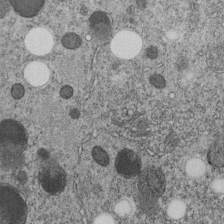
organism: C. elegans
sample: C. elegans embryo early stage